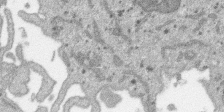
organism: Human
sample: Lung epithelial cells infected with SARS-CoV-2